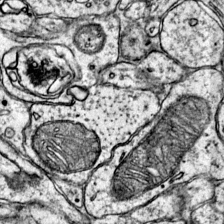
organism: Mouse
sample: Primary visual cortex